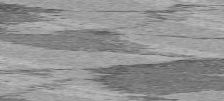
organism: C57BL Mouse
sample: Heart